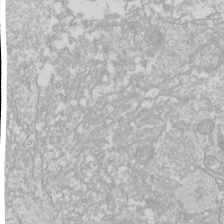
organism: Drosophila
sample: Cell division; meiosis; drosophila spermatocytes